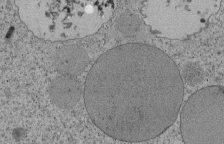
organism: Tetrahymena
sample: Cilia in tetrahymena